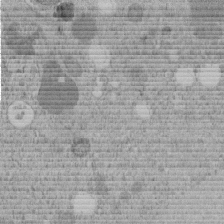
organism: C. elegans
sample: C. elegans embryo early stage